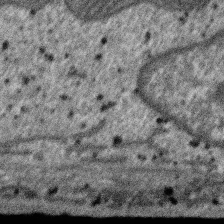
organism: Human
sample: Lung epithelial cells infected with SARS-CoV-2